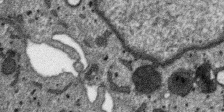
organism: Human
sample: Lung epithelial cells infected with SARS-CoV-2